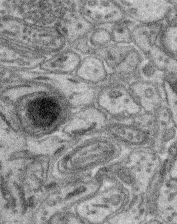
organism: Mouse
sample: Retina